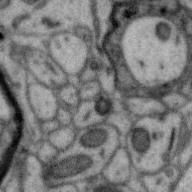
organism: Zebra finch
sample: Brain